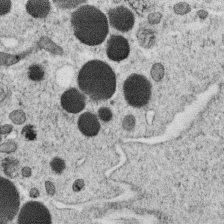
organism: C. elegans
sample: C. elegans oocyte; sperm cells